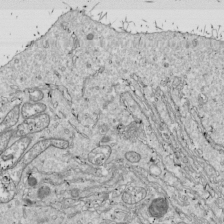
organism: Drosophila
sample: Cell division; meiosis; drosophila spermatocytes